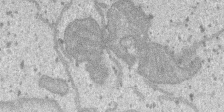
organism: Human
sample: Lung epithelial cells infected with SARS-CoV-2